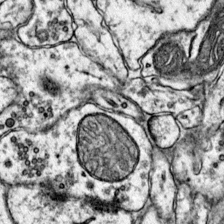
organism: Mouse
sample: Primary visual cortex